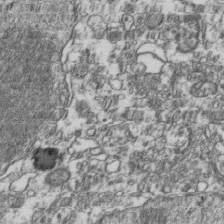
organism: Human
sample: Activated Jurkat CD4+ T cells